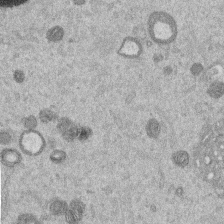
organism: Mouse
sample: Dividing mouse embryo 1 cell stage